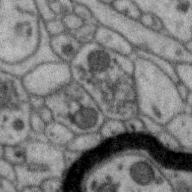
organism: Zebra finch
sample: Brain